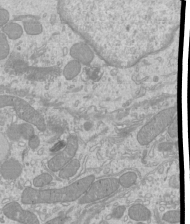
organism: Mouse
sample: Cilia; mouse epididymis